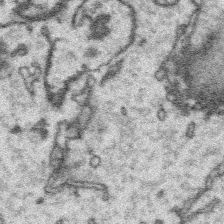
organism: Platynereis dumerilii